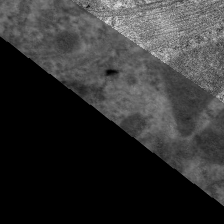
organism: C. elegans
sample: Pharynx